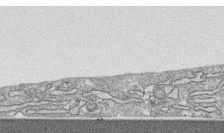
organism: Human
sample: CRL-1474